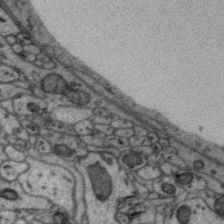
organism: Zebra finch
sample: Brain